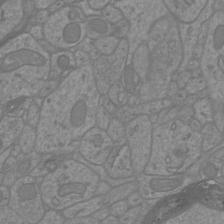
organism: Mouse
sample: Cortical neurons